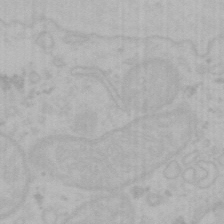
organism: Mouse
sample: Choroid plexus